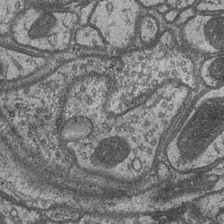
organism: Drosophila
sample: Optic medulla